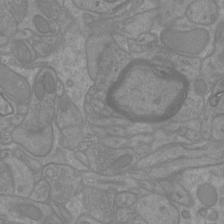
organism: Mouse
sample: Cortical neurons